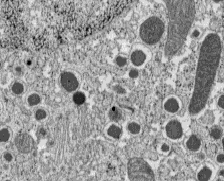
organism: C57BL Mouse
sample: Pancreatic islet